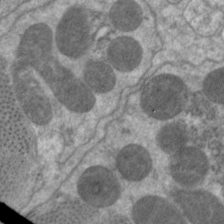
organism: C. elegans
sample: Pharynx